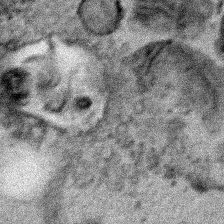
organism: Human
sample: Mitochondria in HCT116 cells